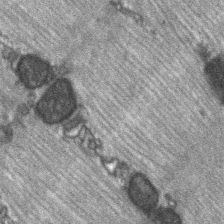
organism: C57BL Mouse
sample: Soleus